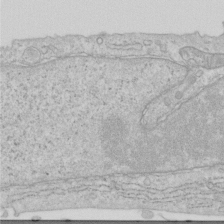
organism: Human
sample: Centriole in RPE cells